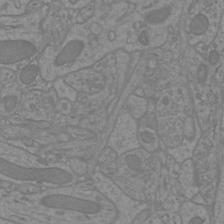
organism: Mouse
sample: Cortical neurons